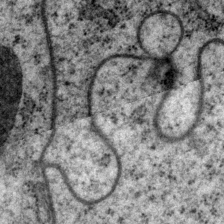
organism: P. pacificus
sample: Pharynx